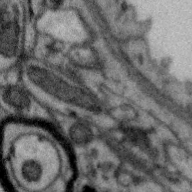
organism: Zebra finch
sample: Brain